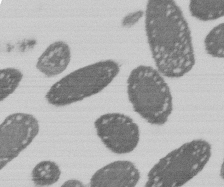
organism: E. coli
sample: Bacterial nucleoid